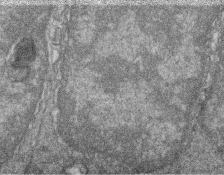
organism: Zebrafish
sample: Cilia; retinal pigment epithelium